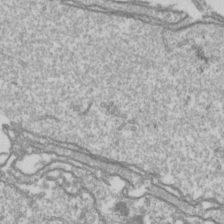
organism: Drosophila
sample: Cell division; meiosis; drosophila spermatocytes